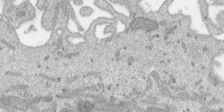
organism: Human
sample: Lung epithelial cells infected with SARS-CoV-2